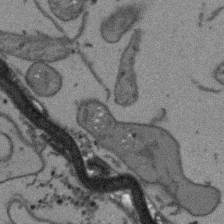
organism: Arabidopsis thaliana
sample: Root tip